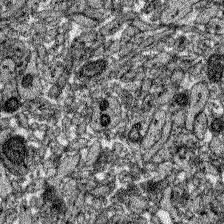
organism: Zebrafish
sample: Larval olfactory bulb